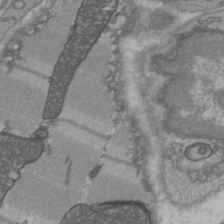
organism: C57BL Mouse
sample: Heart